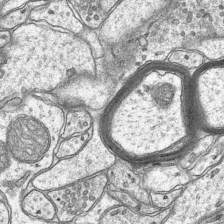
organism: Mouse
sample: CA1 Hippocampus